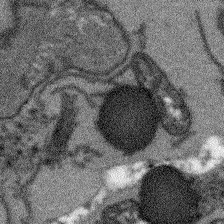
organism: Arabidopsis thaliana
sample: Root tip